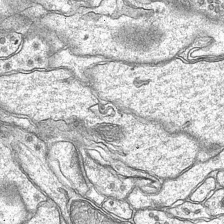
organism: Mouse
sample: CA1 Hippocampus